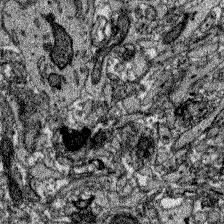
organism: Zebrafish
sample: Larval olfactory bulb